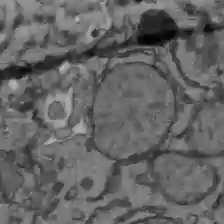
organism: C57BL Mouse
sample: Liver